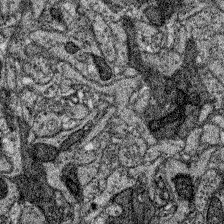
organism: Zebrafish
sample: Larval olfactory bulb